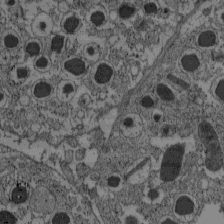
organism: C57BL Mouse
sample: Pancreatic islet